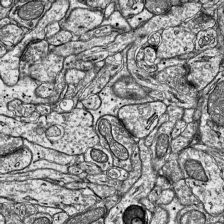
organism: Mouse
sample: Visual Cortex